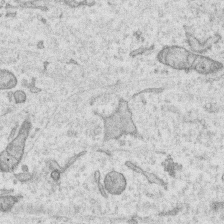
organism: Human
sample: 1205lu cells